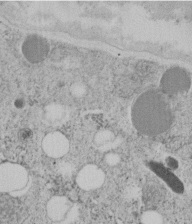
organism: C. elegans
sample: C. elegans embryo early stage